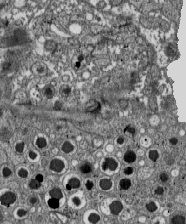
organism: C57BL Mouse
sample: Pancreatic islet